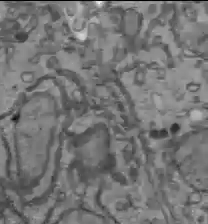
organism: C57BL Mouse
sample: Liver